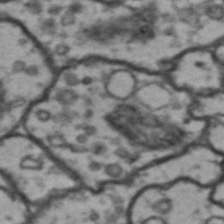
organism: Drosophila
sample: Brain